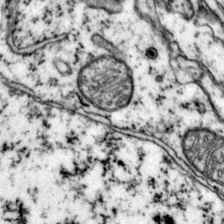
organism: Mouse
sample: Primary visual cortex